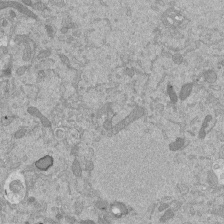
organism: Mouse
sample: ED-1 cell nuclei; centrioles